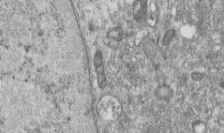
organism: Human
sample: Centriole in RPE cells